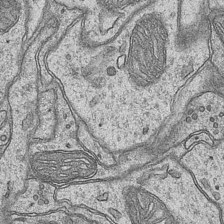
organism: Mouse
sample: CA1 Hippocampus